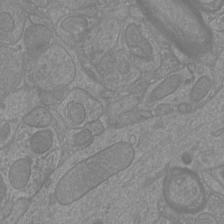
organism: Mouse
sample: Cortical neurons